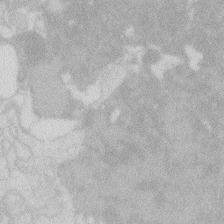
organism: Zebrafish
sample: Macrophage